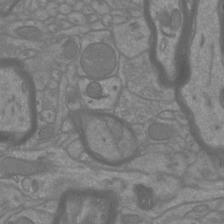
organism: Mouse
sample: Cortical neurons